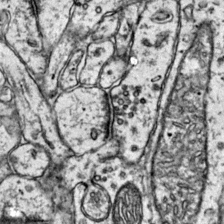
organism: Mouse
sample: Primary visual cortex